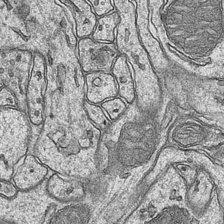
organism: Mouse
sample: CA1 Hippocampus